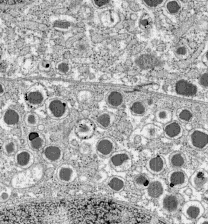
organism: C57BL Mouse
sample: Pancreatic islet